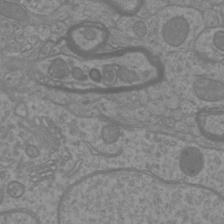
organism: Mouse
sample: Cortical neurons